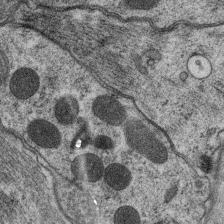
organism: C. elegans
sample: Pharynx